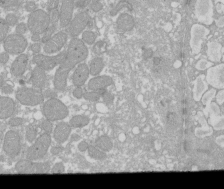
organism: Xenopus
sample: Cilia; centrioles in frog embryo cells